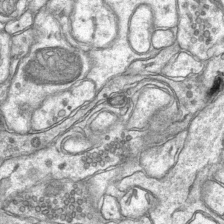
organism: Mouse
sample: CA1 Hippocampus